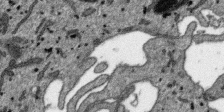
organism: Human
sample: Lung epithelial cells, uninfected (mock) control